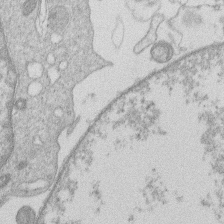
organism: Human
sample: Macrophage cells